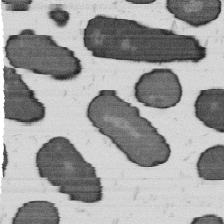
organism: B. subtilis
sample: Bacterial spore